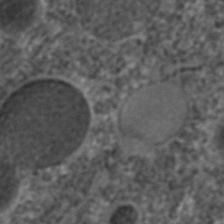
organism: C. elegans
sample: C. elegans embryo